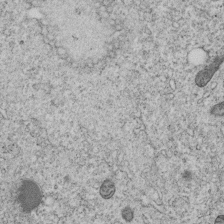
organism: C. elegans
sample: C. elegans embryo early stage